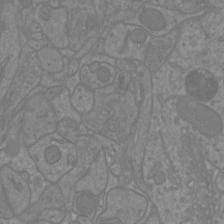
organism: Mouse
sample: Cortical neurons